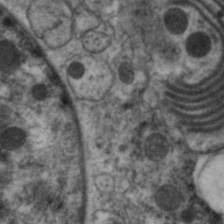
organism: C. elegans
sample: Pharynx